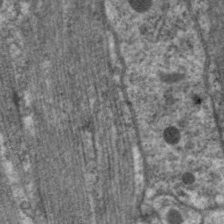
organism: C. elegans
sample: Pharynx